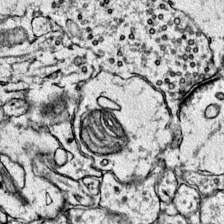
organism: Mouse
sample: Primary visual cortex